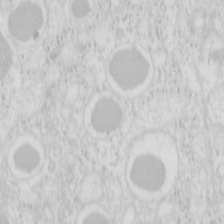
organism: Mouse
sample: Pancreas